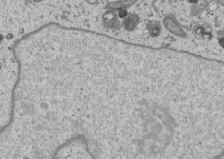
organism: Human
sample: Mitochondria in U2OS cells